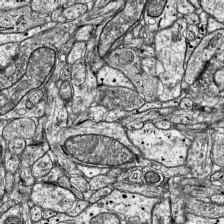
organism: Mouse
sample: Visual Cortex